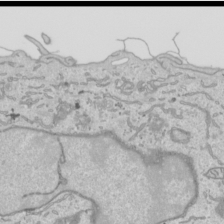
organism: Human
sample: Mitochondria in HCT116 cells